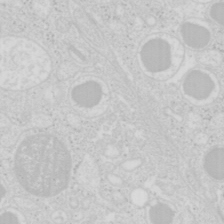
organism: Mouse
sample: Pancreas